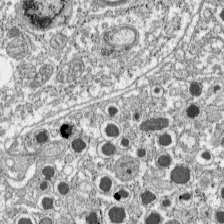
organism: C57BL Mouse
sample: Pancreatic islet